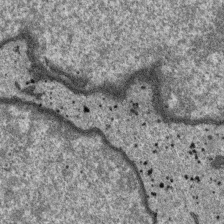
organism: Human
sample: Lung epithelial cells, uninfected (mock) control